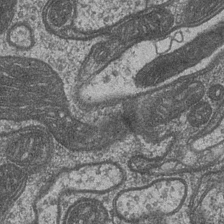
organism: Drosophila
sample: Optic medulla